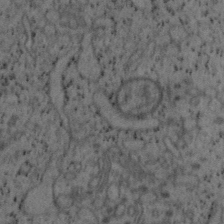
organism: Human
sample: HeLa cells